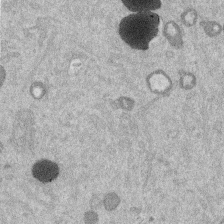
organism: Mouse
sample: Dividing mouse embryo 1 cell stage